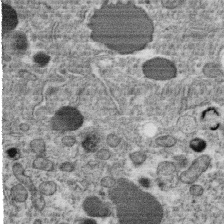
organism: C. elegans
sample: C. elegans oocyte; sperm cells